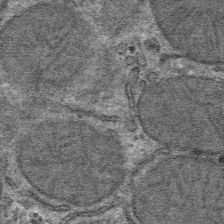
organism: Mouse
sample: Mouse hepatocytes